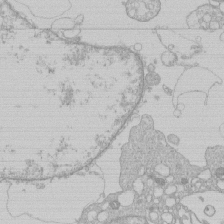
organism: Human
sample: Macrophage cells